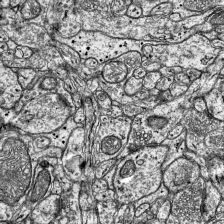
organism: Mouse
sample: Visual Cortex